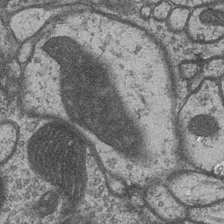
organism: Drosophila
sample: Optic medulla